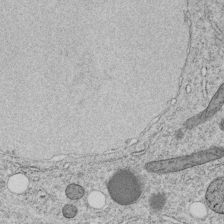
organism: C. elegans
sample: C. elegans embryo early stage